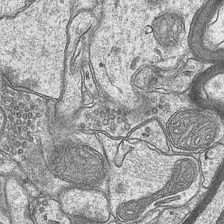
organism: Mouse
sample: CA1 Hippocampus